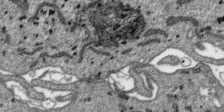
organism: Human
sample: Lung epithelial cells, uninfected (mock) control